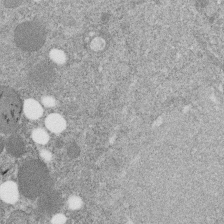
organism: C. elegans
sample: C. elegans embryo early stage